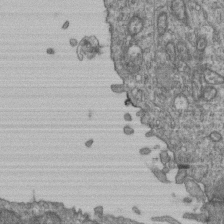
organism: Human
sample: Retinal organoid Rod and Cone cells